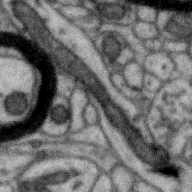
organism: Zebra finch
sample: Brain